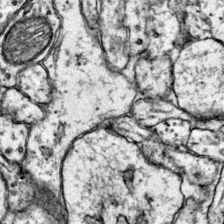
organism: Mouse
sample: Primary visual cortex